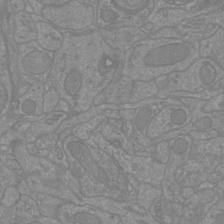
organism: Mouse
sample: Cortical neurons